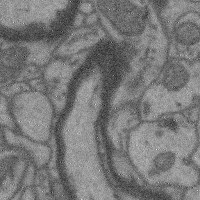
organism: Mouse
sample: Cerebral cortex